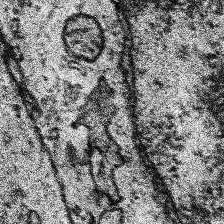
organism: Human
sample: Temporal Lobe